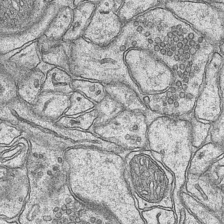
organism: Mouse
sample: CA1 Hippocampus